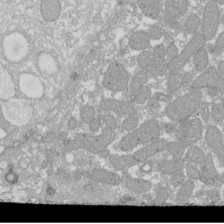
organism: Xenopus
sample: Cilia; centrioles in frog embryo cells